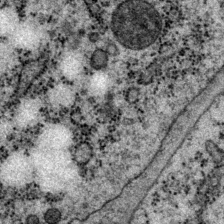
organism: P. pacificus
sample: Pharynx